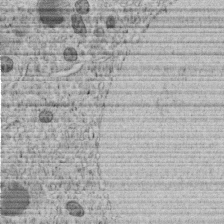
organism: C. elegans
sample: C. elegans embryo early stage